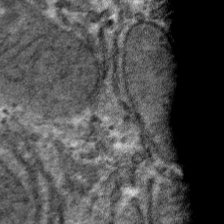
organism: Mouse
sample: Mouse hepatocytes